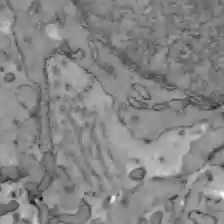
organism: C57BL Mouse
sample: Liver